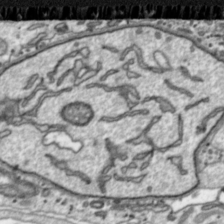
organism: Toxoplasma gondii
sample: Parasites in a vacuole inside a host cell